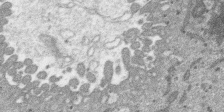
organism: Human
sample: Lung epithelial cells infected with SARS-CoV-2